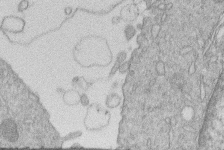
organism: Human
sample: Macrophage cells